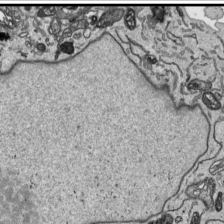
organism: Human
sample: Mitochondria in HCT116 cells